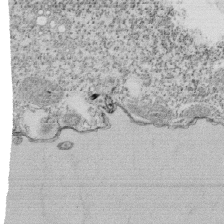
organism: Tetrahymena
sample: Cilia in tetrahymena